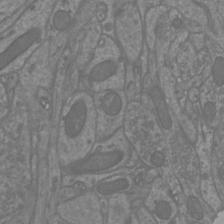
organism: Mouse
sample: Cortical neurons